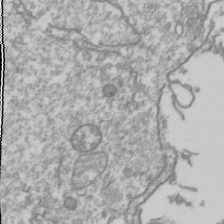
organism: Drosophila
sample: Cell division; meiosis; drosophila spermatocytes